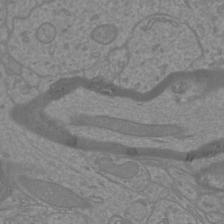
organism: Mouse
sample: Cortical neurons